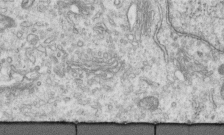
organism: Human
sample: Centriole in RPE cells